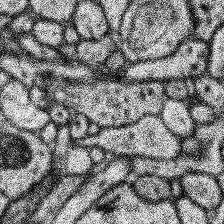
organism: Human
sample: Temporal Lobe